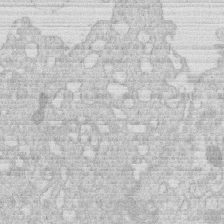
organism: Human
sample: Macrophage cells